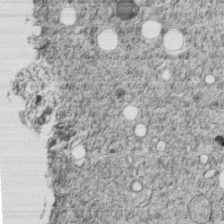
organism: C. elegans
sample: C. elegans embryo early stage